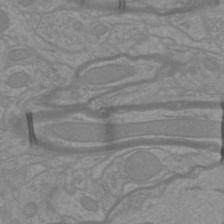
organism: Mouse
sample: Cortical neurons